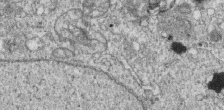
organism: Human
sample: HeLa cell HIV synapse